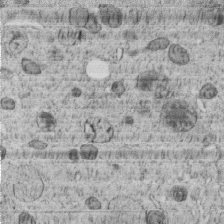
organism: C. elegans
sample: C. elegans embryo early stage